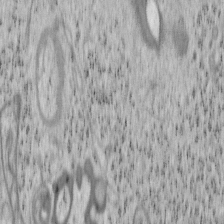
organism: Human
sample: HeLa cells